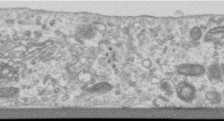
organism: Human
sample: Centriole in RPE cells